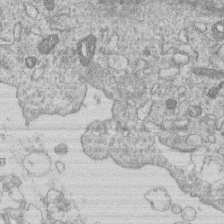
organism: Human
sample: Macrophage cells